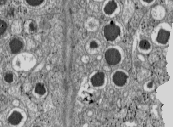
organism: C57BL Mouse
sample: Pancreatic islet